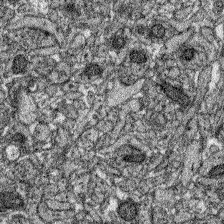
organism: Zebrafish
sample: Larval olfactory bulb